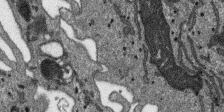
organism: Human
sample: Lung epithelial cells infected with SARS-CoV-2